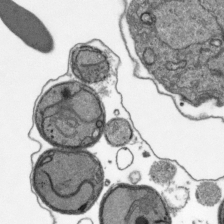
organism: Plasmodium falciparum